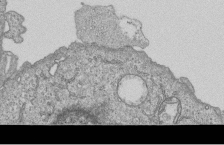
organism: Human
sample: MDA-MB-231 cells